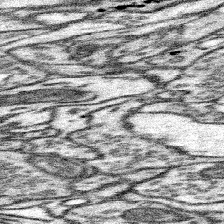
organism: Mouse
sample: Somatosensory cortex neuropil